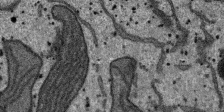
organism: Human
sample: Lung epithelial cells, uninfected (mock) control